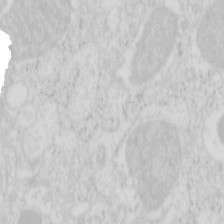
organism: Mouse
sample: Pancreas